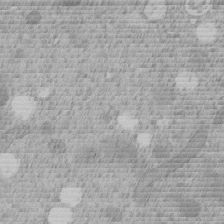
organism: C. elegans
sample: C. elegans embryo early stage